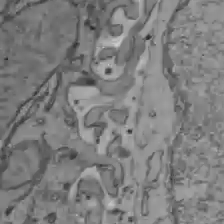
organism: C57BL Mouse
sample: Liver